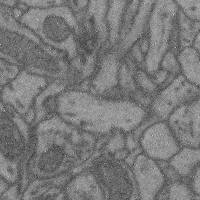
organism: Mouse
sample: Cerebral cortex